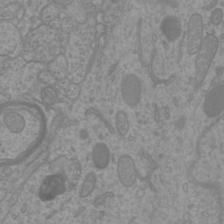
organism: Mouse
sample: Cortical neurons